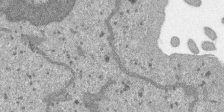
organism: Human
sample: Lung epithelial cells infected with SARS-CoV-2